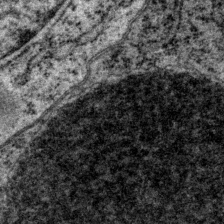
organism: P. pacificus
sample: Pharynx